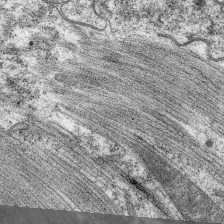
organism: C. elegans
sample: Pharynx